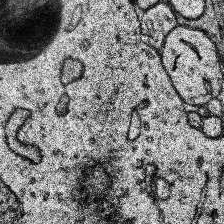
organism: Human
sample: Temporal Lobe